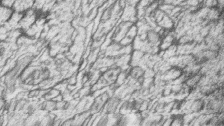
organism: Zebrafish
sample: synaptic ribbons in rod cells and cone cells